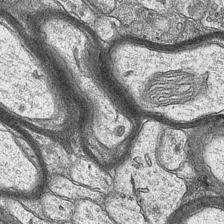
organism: Mouse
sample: CA1 Hippocampus